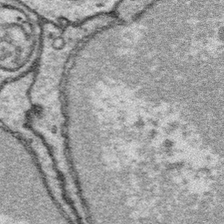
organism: Platynereis dumerilii